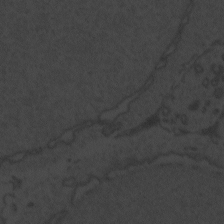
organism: Zebrafish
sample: Macrophage infected with Toxoplasma gondii